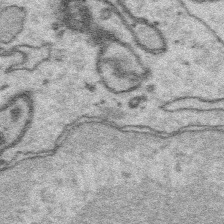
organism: Platynereis dumerilii